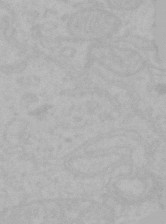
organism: Mouse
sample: Choroid plexus